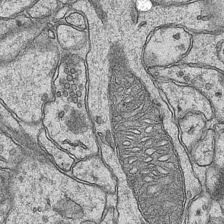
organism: Mouse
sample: CA1 Hippocampus